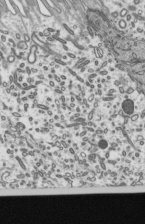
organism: Mouse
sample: Mouse epididymis efferent ductule cilia